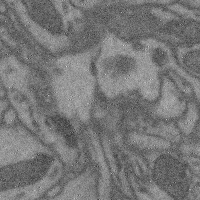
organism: Mouse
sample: Cerebral cortex